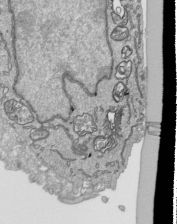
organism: Human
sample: Mitochondria in HCT116 cells